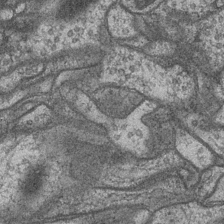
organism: Drosophila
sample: Optic medulla